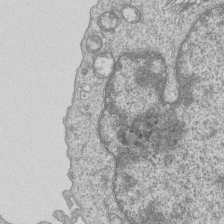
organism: Human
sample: MDA-MB-231 cells